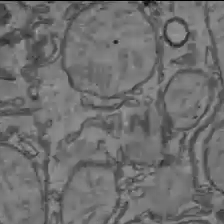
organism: C57BL Mouse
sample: Liver